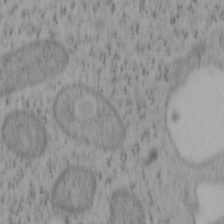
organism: Mouse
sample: OT-I killer T cells with ID8 ovarian cancer cells